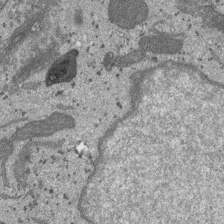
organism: Human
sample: Lung epithelial cells infected with SARS-CoV-2